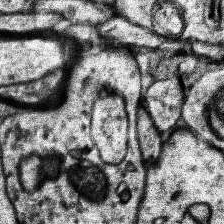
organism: Human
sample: Temporal Lobe